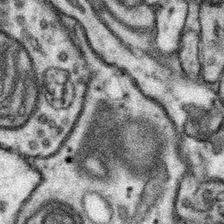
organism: Mouse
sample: Somatosensory cortex neuropil